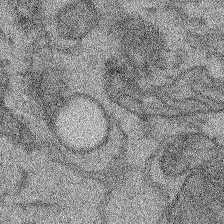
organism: Human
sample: HeLa cells